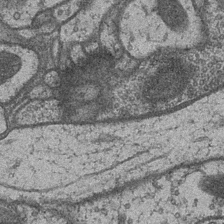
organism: Drosophila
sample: Optic medulla